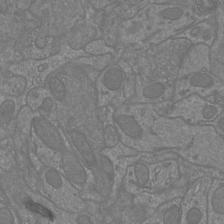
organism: Mouse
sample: Cortical neurons